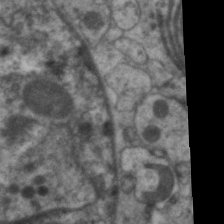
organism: C. elegans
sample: Pharynx